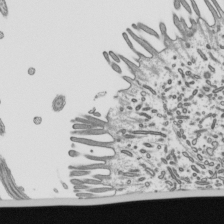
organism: Mouse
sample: Mouse epididymis efferent ductule cilia